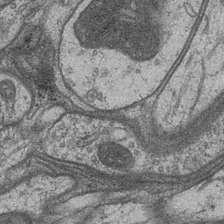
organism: Drosophila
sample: Optic medulla